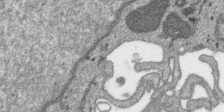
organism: Human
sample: Lung epithelial cells infected with SARS-CoV-2